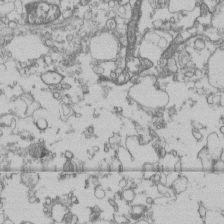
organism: Human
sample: Fibroblast cells